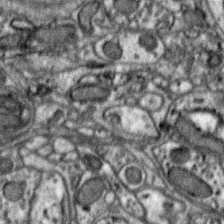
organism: Zebra finch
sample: Brain